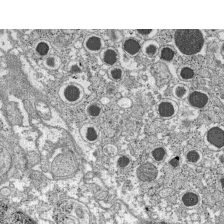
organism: C57BL Mouse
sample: Pancreatic islet